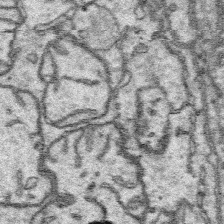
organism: Platynereis dumerilii